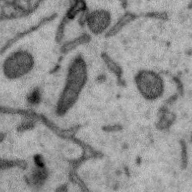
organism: Zebra finch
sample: Brain